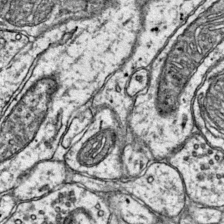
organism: Mouse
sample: Primary visual cortex